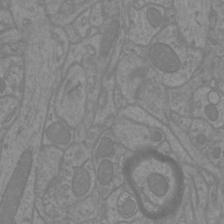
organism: Mouse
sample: Cortical neurons